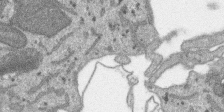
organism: Human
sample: Lung epithelial cells infected with SARS-CoV-2